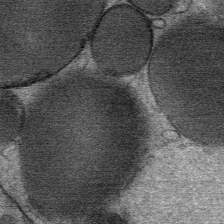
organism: Mouse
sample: Mouse Salivary gland